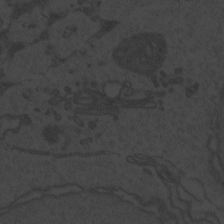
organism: Zebrafish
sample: Macrophage infected with Toxoplasma gondii